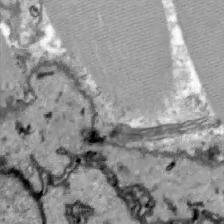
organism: Zebrafish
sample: Actinotrichia fibers